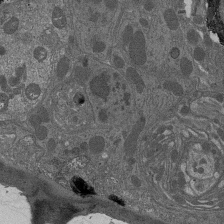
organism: Drosophila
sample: Antenna